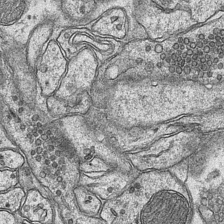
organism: Mouse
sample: CA1 Hippocampus